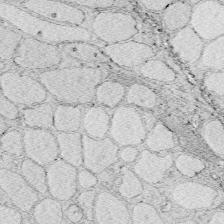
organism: Zebrafish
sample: Whole-Brain